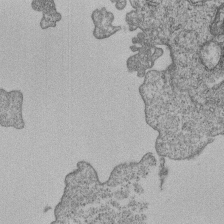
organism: Human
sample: MDA-MB-231 cells